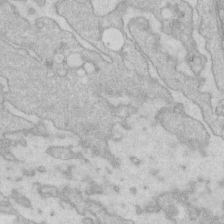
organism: Human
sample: Fibroblast cells